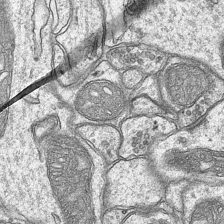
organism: Mouse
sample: CA1 Hippocampus